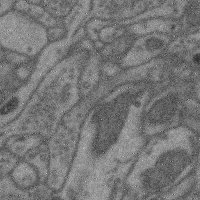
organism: Mouse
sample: Cerebral cortex